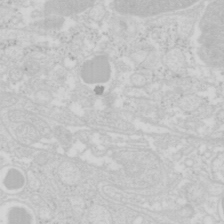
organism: Mouse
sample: Pancreas